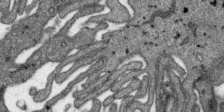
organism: Human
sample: Lung epithelial cells, uninfected (mock) control